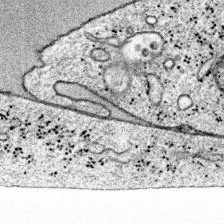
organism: Human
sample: HeLa cells